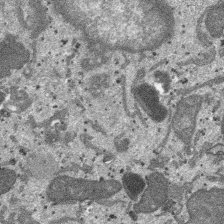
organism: Human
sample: Lung epithelial cells infected with SARS-CoV-2